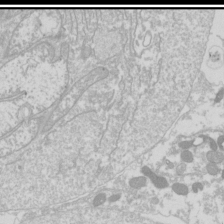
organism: Drosophila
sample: Cell division; meiosis; drosophila spermatocytes